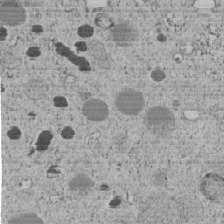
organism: C. elegans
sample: C. elegans embryo early stage